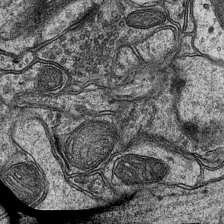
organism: Mouse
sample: CA1 Hippocampus